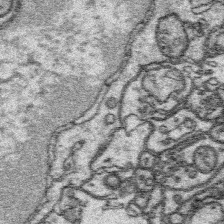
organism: Platynereis dumerilii